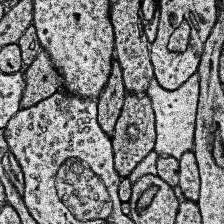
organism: Human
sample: Temporal Lobe